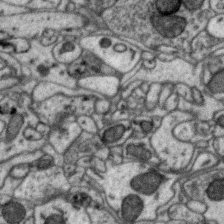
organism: Zebra finch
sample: Brain